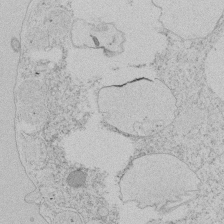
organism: Tetrahymena